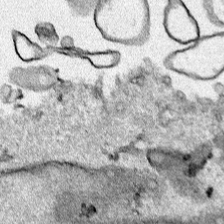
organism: Human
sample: Mitochondria in HCT116 cells